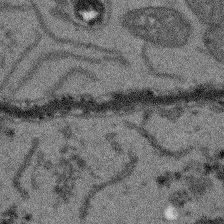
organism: Arabidopsis thaliana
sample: Root tip